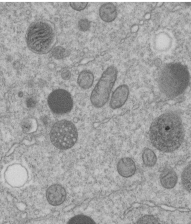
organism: C. elegans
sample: C. elegans embryo early stage